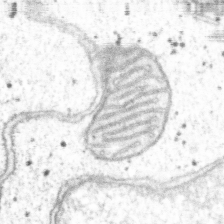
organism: Human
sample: HeLa cells